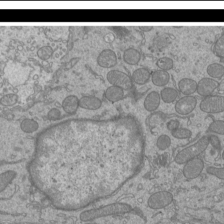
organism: Mouse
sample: Cilia; mouse epididymis